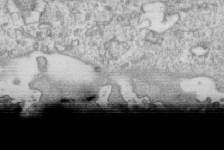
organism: Mouse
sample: Activated OT-1 CD8+ T cells